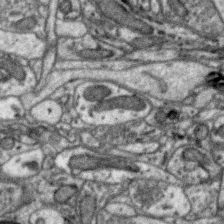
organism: Zebra finch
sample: Brain